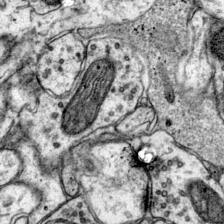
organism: Mouse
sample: Primary visual cortex